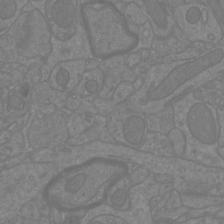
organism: Mouse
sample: Cortical neurons